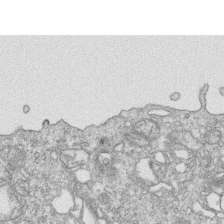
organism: Human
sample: HeLa cell HIV synapse